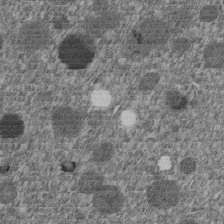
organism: C. elegans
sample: C. elegans embryo early stage